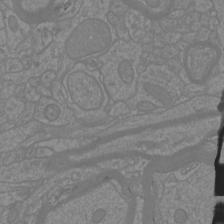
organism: Mouse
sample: Cortical neurons